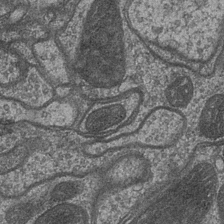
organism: Drosophila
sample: Optic medulla